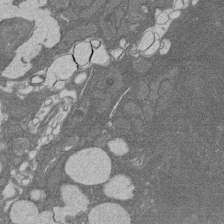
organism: Rat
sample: Salivary granule